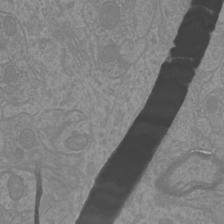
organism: Mouse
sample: Cortical neurons